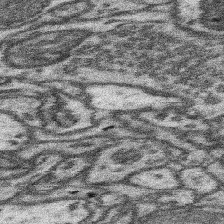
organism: Mouse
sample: Somatosensory cortex neuropil